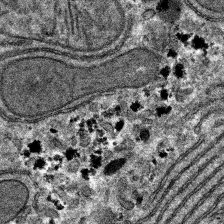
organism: Mouse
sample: Mouse hepatocytes